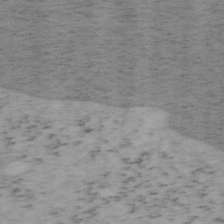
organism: Mouse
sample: OT-I killer T cells with ID8 ovarian cancer cells